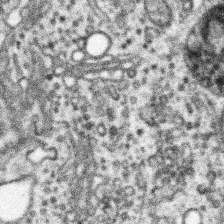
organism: Human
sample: HeLa cells